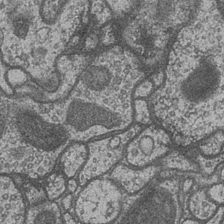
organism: Drosophila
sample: Optic medulla